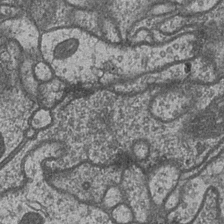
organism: Drosophila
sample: Optic medulla